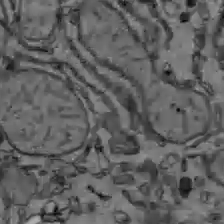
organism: C57BL Mouse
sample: Liver